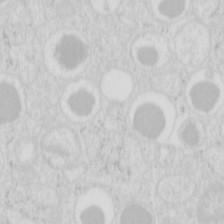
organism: Mouse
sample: Pancreas